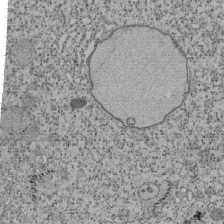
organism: Tetrahymena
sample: Cilia in tetrahymena